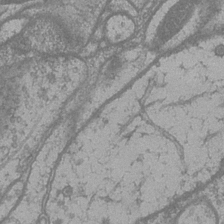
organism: Drosophila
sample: Optic medulla